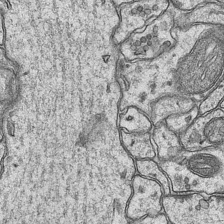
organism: Mouse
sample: CA1 Hippocampus